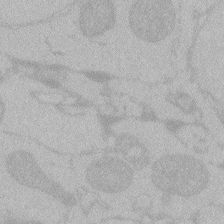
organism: Zebrafish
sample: Macrophage infected with Toxoplasma gondii